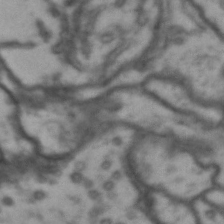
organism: Drosophila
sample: Brain